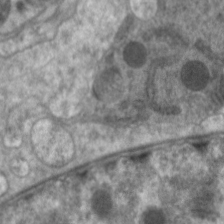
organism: C. elegans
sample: Pharynx